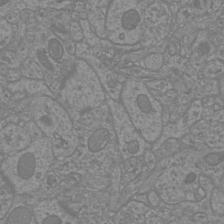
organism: Mouse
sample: Cortical neurons